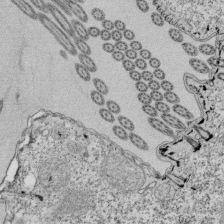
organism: Tetrahymena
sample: Cilia in tetrahymena